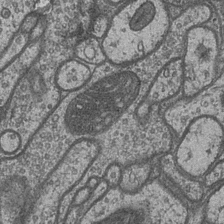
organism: Drosophila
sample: Optic medulla